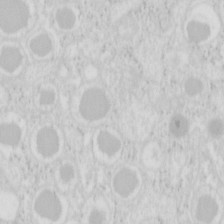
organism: Mouse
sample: Pancreas